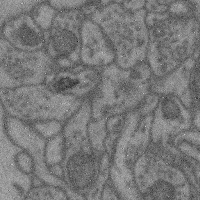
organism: Mouse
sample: Cerebral cortex